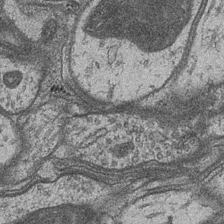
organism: Drosophila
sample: Optic medulla